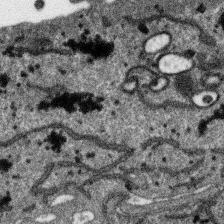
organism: Human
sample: Lung epithelial cells infected with SARS-CoV-2